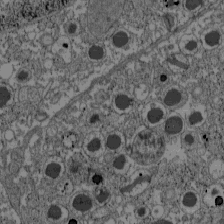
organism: C57BL Mouse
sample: Pancreatic islet